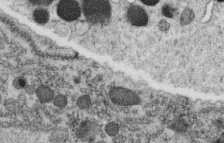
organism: C. elegans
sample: C. elegans oocyte; sperm cells